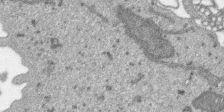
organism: Human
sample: Lung epithelial cells infected with SARS-CoV-2